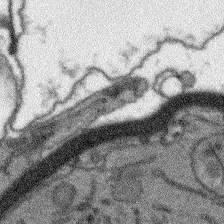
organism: Arabidopsis thaliana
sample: Root tip